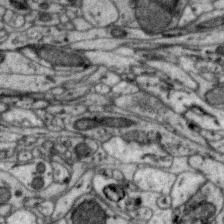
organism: Zebra finch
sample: Brain